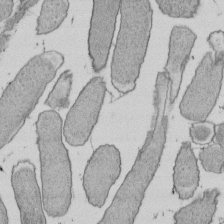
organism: E. coli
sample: Bacterial nucleoid